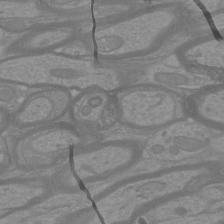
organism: Mouse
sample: Cortical neurons